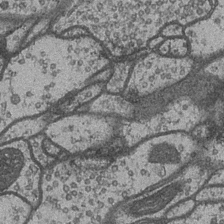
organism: Drosophila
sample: Optic medulla